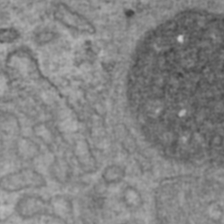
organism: Human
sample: Blood